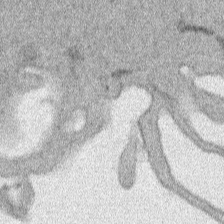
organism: Human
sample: Mitochondria in HCT116 cells